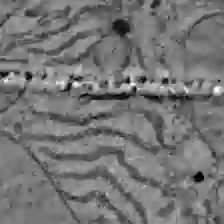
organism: C57BL Mouse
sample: Liver